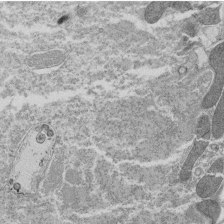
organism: Tetrahymena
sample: Cilia in tetrahymena